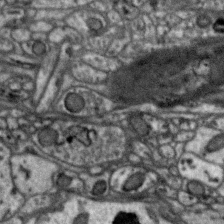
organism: Zebra finch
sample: Brain